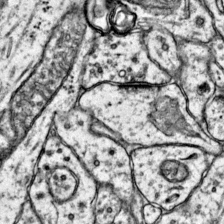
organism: Mouse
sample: Primary visual cortex